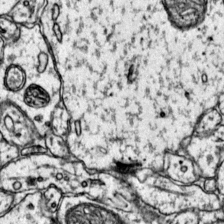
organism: Mouse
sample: Primary visual cortex